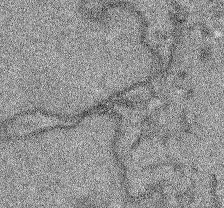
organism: Human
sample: HeLa cells